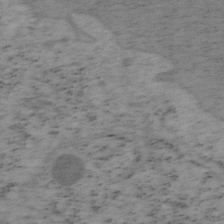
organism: Mouse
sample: OT-I killer T cells with ID8 ovarian cancer cells